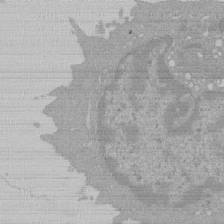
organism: Mouse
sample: Activated Pmel transgenic CD8+ T Cells